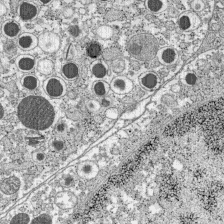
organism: C57BL Mouse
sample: Pancreatic islet